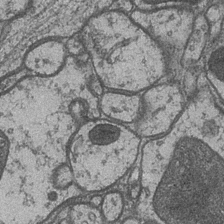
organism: Drosophila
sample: Optic medulla